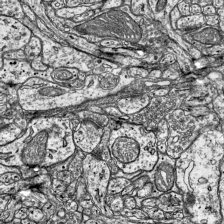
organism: Mouse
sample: Visual Cortex